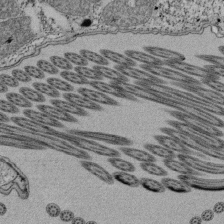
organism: Tetrahymena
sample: Cilia in tetrahymena